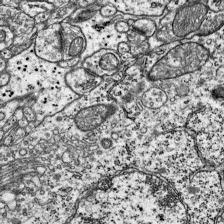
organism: Mouse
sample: Visual Cortex